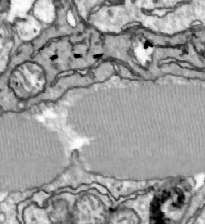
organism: Zebrafish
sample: Actinotrichia fibers